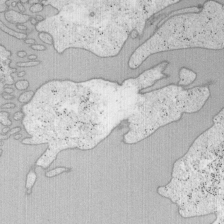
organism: Mouse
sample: OT-I killer T cells with ID8 ovarian cancer cells